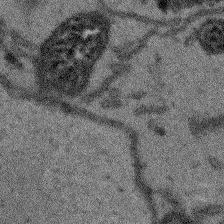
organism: Arabidopsis thaliana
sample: Root tip